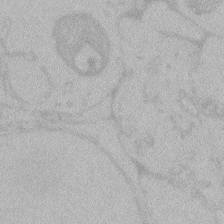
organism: Zebrafish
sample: Macrophage infected with Toxoplasma gondii